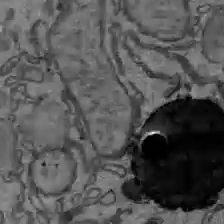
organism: C57BL Mouse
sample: Liver